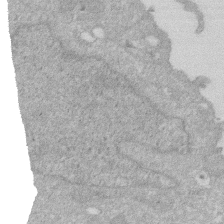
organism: Human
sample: HIV infected U937 cells